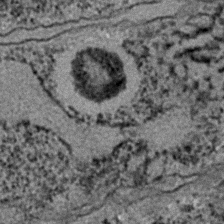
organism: C. elegans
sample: C. elegans embryo